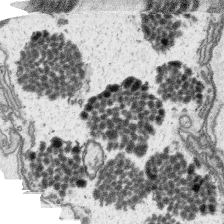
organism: Platynereis dumerilii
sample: Parapodia